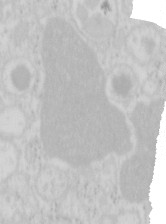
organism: Mouse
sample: Pancreas